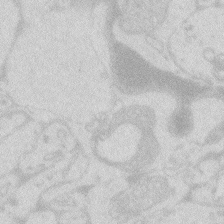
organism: Zebrafish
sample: Macrophage